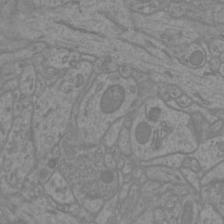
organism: Mouse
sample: Cortical neurons